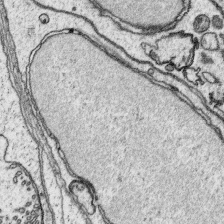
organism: Platynereis dumerilii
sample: Parapodia